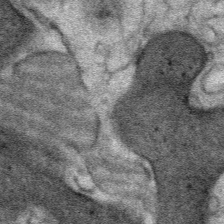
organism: Mouse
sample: Mouse Salivary gland